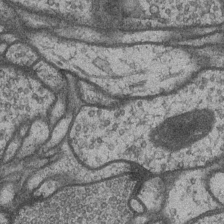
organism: Drosophila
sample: Optic medulla